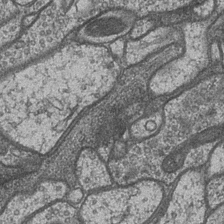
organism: Drosophila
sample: Optic medulla